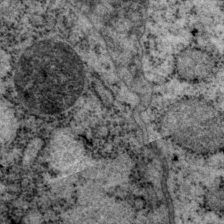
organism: P. pacificus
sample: Pharynx